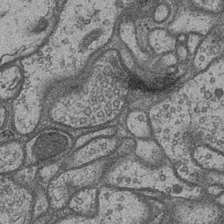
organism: Drosophila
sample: Optic medulla